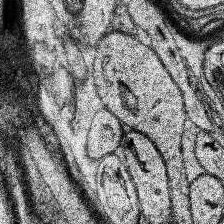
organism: Human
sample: Temporal Lobe